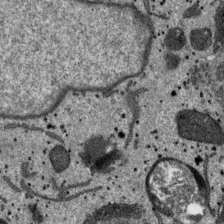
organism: Human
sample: Lung epithelial cells, uninfected (mock) control